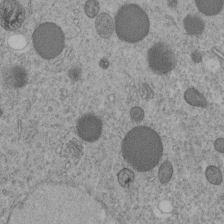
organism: C. elegans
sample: C. elegans embryo early stage